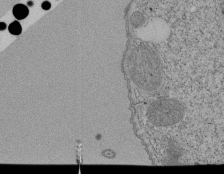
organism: Tetrahymena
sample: Cilia in tetrahymena